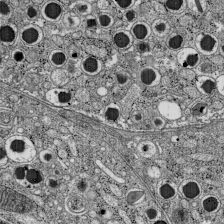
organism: C57BL Mouse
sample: Pancreatic islet